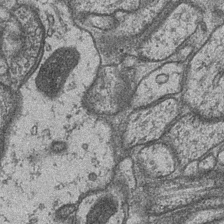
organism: Drosophila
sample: Optic medulla